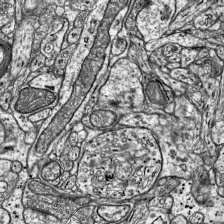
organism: Mouse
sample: Visual Cortex